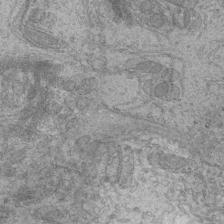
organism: Mouse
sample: Cilia; mouse epididymis